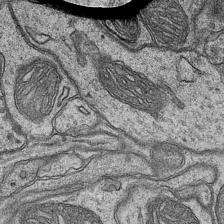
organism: Mouse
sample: CA1 Hippocampus